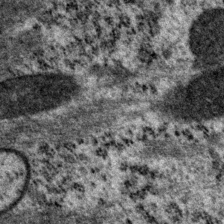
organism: P. pacificus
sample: Pharynx